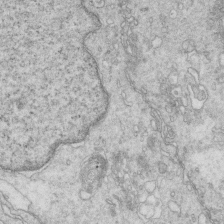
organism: Mouse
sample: Multiciliated cells